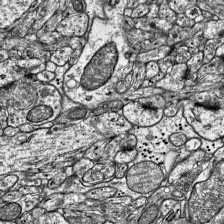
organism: Mouse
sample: Visual Cortex